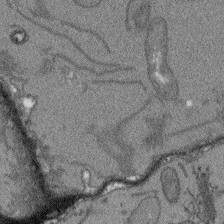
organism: Arabidopsis thaliana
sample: Root tip